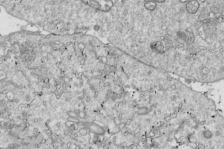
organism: Drosophila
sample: Cell division; meiosis; drosophila spermatocytes